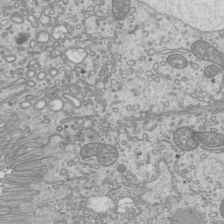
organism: Mouse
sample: Cilia; mouse epididymis